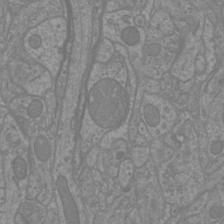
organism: Mouse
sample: Cortical neurons